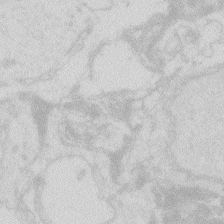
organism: Zebrafish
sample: Macrophage